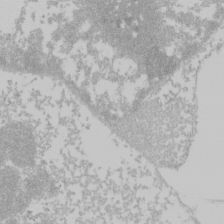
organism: Mouse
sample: Cancer cell death in ED-1 cells